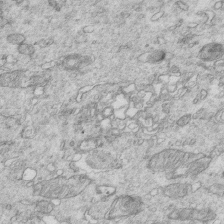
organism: Mouse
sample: Multiciliated cells